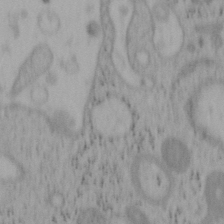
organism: Mouse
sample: OT-I killer T cells with ID8 ovarian cancer cells